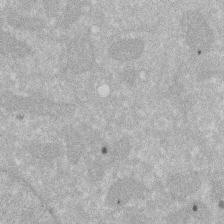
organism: Human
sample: HIV infected U937 cells